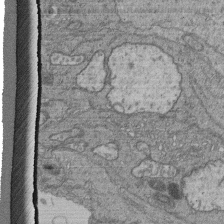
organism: Human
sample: Retinal organoid Rod and Cone cells